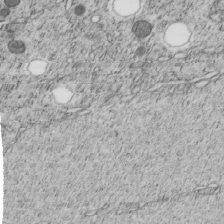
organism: C. elegans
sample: C. elegans embryo early stage